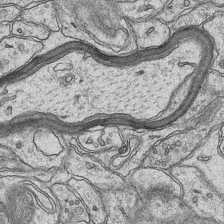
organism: Mouse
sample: CA1 Hippocampus